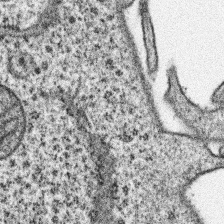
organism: Human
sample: HeLa cells